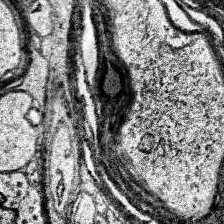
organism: Human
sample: Temporal Lobe